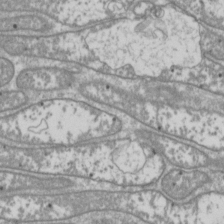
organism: Drosophila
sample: Cell division; meiosis; drosophila spermatocytes